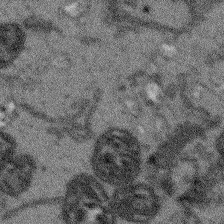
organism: Arabidopsis thaliana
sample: Root tip